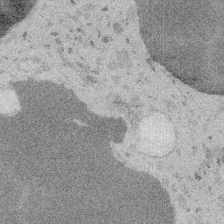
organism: Embia sp.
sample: Silk gland